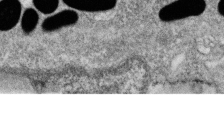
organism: Zebrafish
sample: Cilia; retinal pigment epithelium